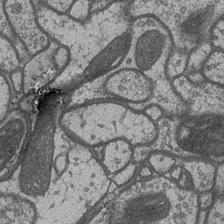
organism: Drosophila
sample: Optic medulla